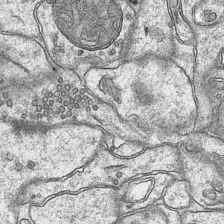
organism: Mouse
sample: CA1 Hippocampus